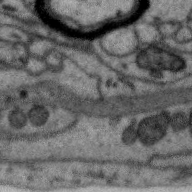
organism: Zebra finch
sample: Brain